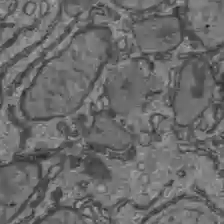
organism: C57BL Mouse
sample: Liver